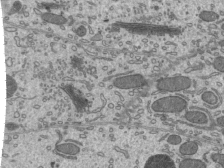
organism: Mouse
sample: Mouse epididymis efferent ductule cilia